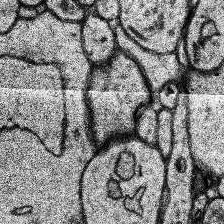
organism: Human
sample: Temporal Lobe